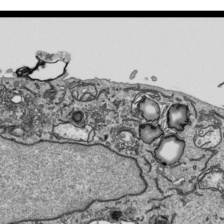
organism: Human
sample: Mitochondria in HCT116 cells